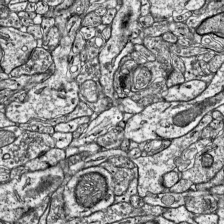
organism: Mouse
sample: Visual Cortex